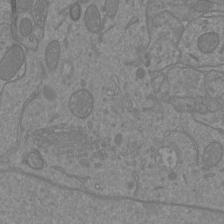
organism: Mouse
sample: Cortical neurons